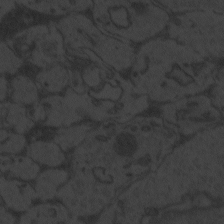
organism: Zebrafish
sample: Macrophage infected with Toxoplasma gondii